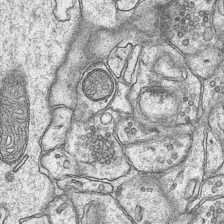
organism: Mouse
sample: CA1 Hippocampus